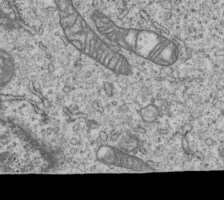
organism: Human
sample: MDA-MB-231 cells